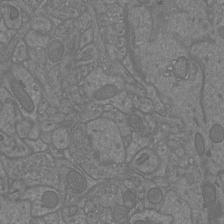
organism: Mouse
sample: Cortical neurons